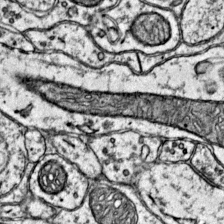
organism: Mouse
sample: Primary visual cortex